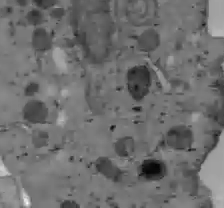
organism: C57BL Mouse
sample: Liver